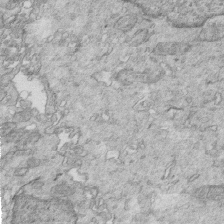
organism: Mouse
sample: Multiciliated cells